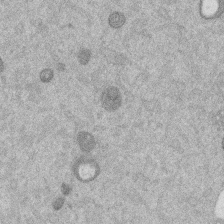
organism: Mouse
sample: Dividing mouse embryo 1 cell stage